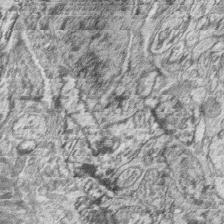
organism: Zebrafish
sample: synaptic ribbons in rod cells and cone cells